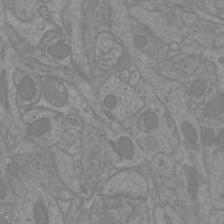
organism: Mouse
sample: Cortical neurons